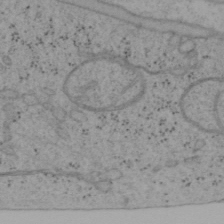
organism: Human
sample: HeLa cells